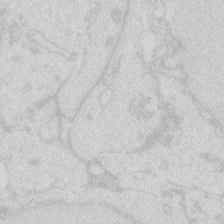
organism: Zebrafish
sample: Macrophage